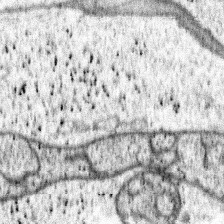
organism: Human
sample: HeLa cells